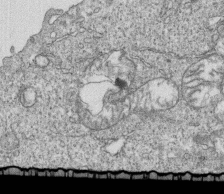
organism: Human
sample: HeLa cell HIV synapse